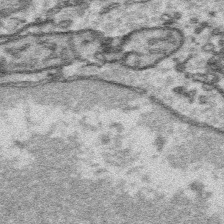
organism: Platynereis dumerilii